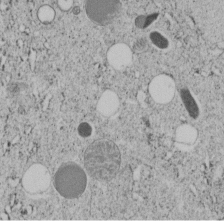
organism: C. elegans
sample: C. elegans embryo early stage